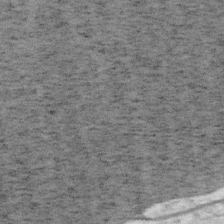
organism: Mouse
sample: OT-I killer T cells with ID8 ovarian cancer cells